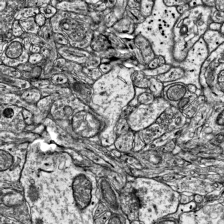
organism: Mouse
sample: Visual Cortex